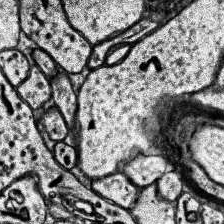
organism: Human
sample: Temporal Lobe